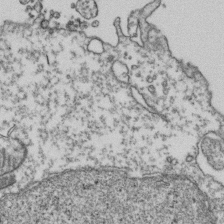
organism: Human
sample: Activated Jurkat CD4+ T cells